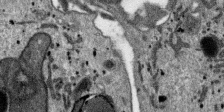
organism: Human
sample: Lung epithelial cells, uninfected (mock) control